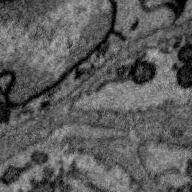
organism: Zebra finch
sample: Brain